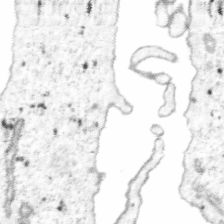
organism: Human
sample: HeLa cells